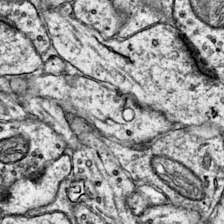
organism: Mouse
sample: Primary visual cortex